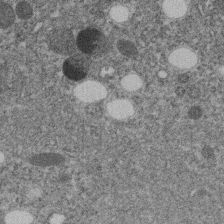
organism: C. elegans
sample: C. elegans embryo early stage